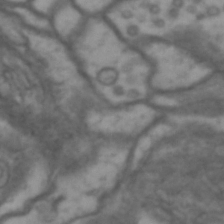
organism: Drosophila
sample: Brain